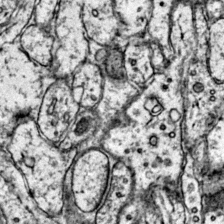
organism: Mouse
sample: Primary visual cortex